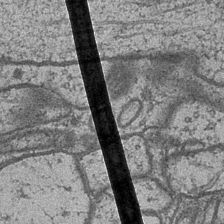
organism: Drosophila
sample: Optic medulla